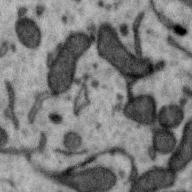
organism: Zebra finch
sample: Brain